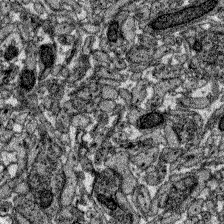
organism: Zebrafish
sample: Larval olfactory bulb